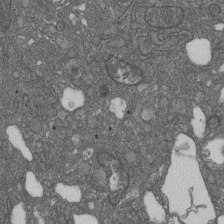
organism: Drosophila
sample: Nephrocyte